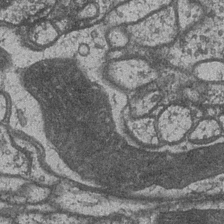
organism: Drosophila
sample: Optic medulla